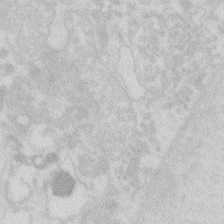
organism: Zebrafish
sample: Macrophage